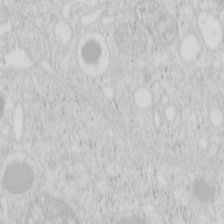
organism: Mouse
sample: Pancreas